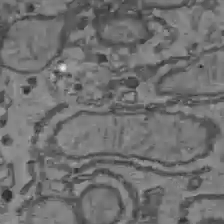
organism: C57BL Mouse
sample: Liver